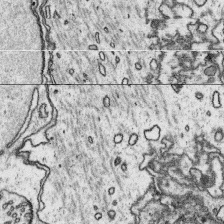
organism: Platynereis dumerilii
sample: Parapodia